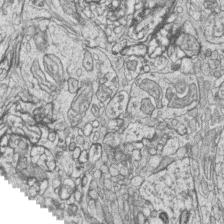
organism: Zebrafish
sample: synaptic ribbons in rod cells and cone cells